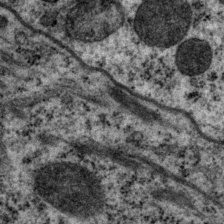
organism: P. pacificus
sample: Pharynx